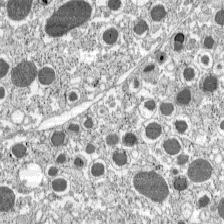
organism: C57BL Mouse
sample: Pancreatic islet